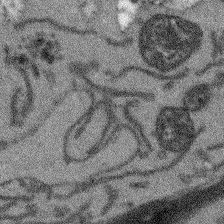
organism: Arabidopsis thaliana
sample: Root tip